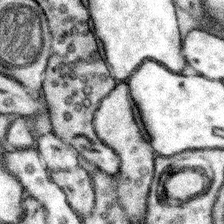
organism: Mouse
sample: Somatosensory cortex neuropil